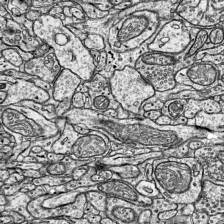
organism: Mouse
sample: Visual Cortex